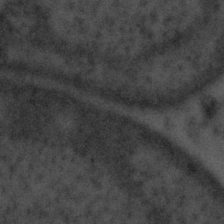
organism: Tuwongella immobilis